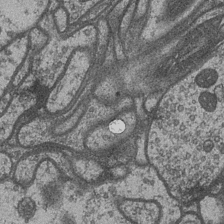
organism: Drosophila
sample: Optic medulla